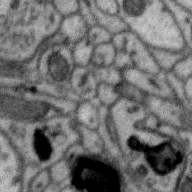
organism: Zebra finch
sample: Brain